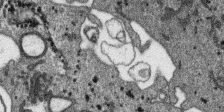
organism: Human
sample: Lung epithelial cells infected with SARS-CoV-2